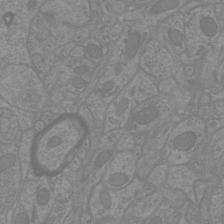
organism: Mouse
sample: Cortical neurons